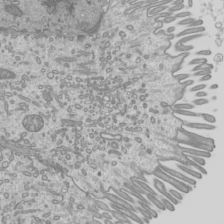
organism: Mouse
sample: Cilia; mouse epididymis